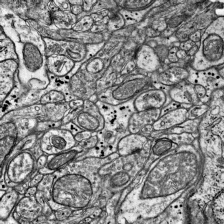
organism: Mouse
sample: Visual Cortex